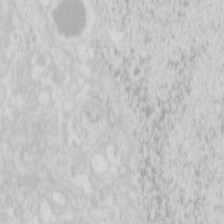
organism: Mouse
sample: Pancreas